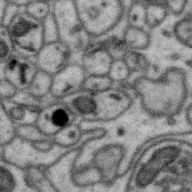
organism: Zebra finch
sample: Brain